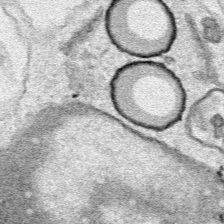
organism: Human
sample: Mitochondria in HCT116 cells